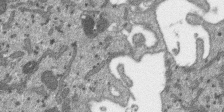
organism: Human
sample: Lung epithelial cells infected with SARS-CoV-2